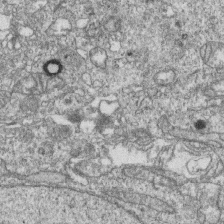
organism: Human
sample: HeLa cell HIV synapse